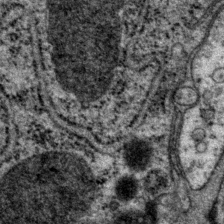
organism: P. pacificus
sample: Pharynx